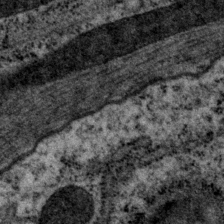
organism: P. pacificus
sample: Pharynx